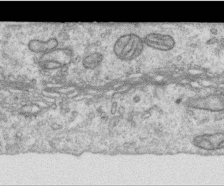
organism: Human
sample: Centriole in RPE cells